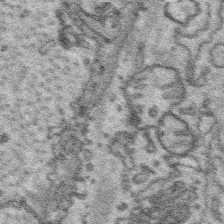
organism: Platynereis dumerilii